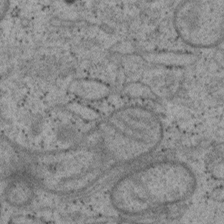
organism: Human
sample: HeLa cells